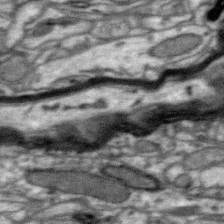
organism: Zebra finch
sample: Brain